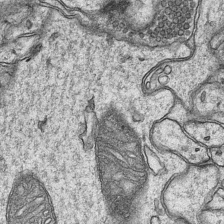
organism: Mouse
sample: CA1 Hippocampus